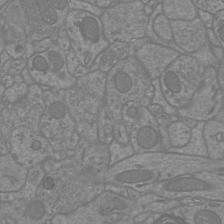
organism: Mouse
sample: Cortical neurons